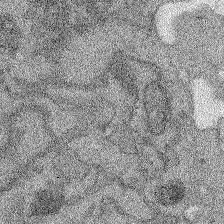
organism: Human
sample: HeLa cells